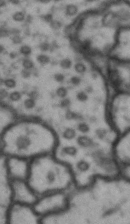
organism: Drosophila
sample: Brain